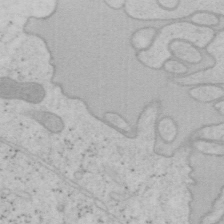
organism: Human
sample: HeLa cells